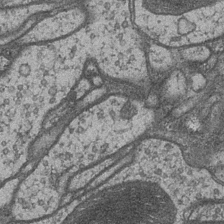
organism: Drosophila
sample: Optic medulla